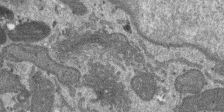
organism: Human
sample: Lung epithelial cells infected with SARS-CoV-2